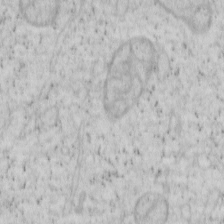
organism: Human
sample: HeLa cells